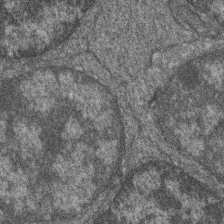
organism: Zebrafish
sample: Cilia; retinal pigment epithelium